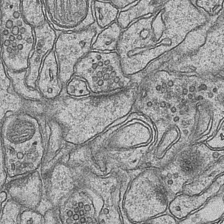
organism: Mouse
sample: CA1 Hippocampus